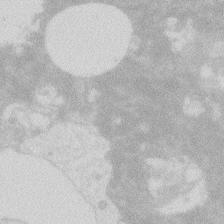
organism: Zebrafish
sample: Macrophage